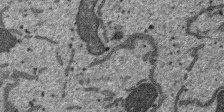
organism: Human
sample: Lung epithelial cells infected with SARS-CoV-2